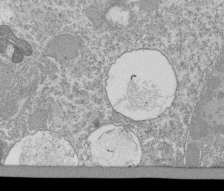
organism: Tetrahymena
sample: Cilia in tetrahymena